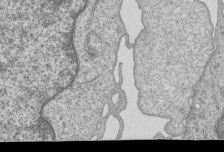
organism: Human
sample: MDA-MB-231 cells